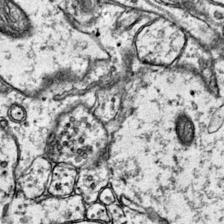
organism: Mouse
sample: Primary visual cortex